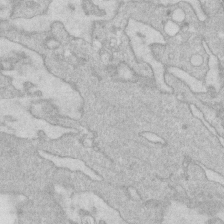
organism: Human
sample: Fibroblast cells